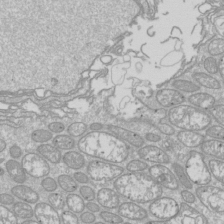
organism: Drosophila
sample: Cell division; meiosis; drosophila spermatocytes